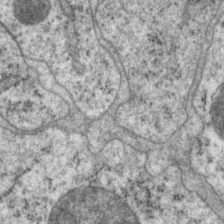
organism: P. pacificus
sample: Pharynx